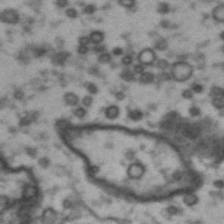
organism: Drosophila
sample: Brain